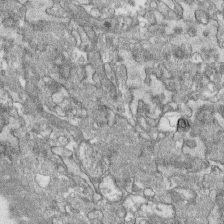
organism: Human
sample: CRL-1474